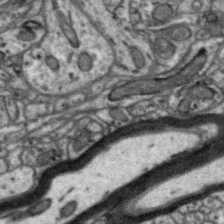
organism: Zebra finch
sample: Brain